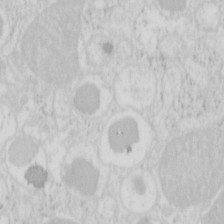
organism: Mouse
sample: Pancreas